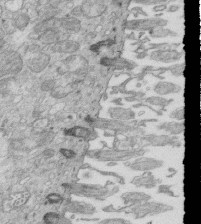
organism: Mouse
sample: Multiciliated cells